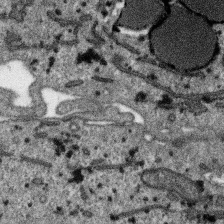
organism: Human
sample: Lung epithelial cells infected with SARS-CoV-2